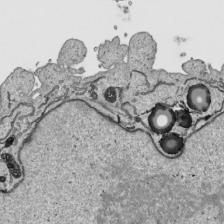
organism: Human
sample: Mitochondria in HCT116 cells